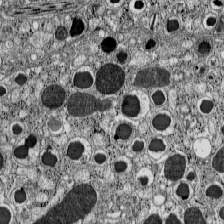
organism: C57BL Mouse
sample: Pancreatic islet